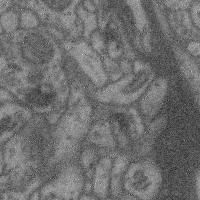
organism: Mouse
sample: Cerebral cortex